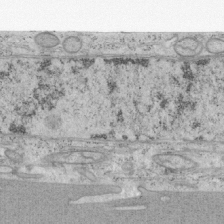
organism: Human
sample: HeLa cells